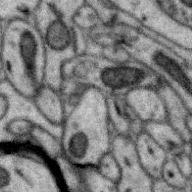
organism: Zebra finch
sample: Brain